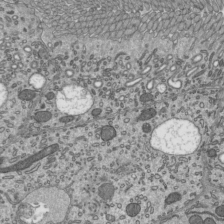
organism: Mouse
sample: Mouse epididymis efferent ductule cilia